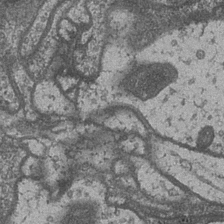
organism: Drosophila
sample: Optic medulla